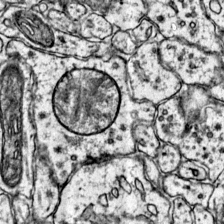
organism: Mouse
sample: Primary visual cortex